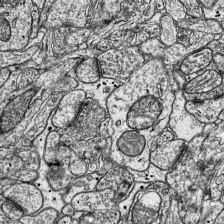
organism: Mouse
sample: Visual Cortex